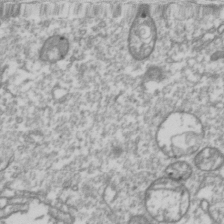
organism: Drosophila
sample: Cell division; meiosis; drosophila spermatocytes